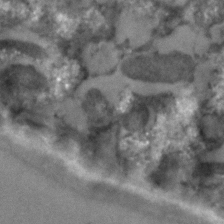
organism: C. elegans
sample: C. elegans embryo